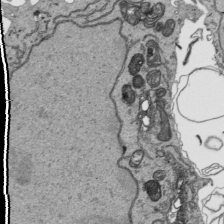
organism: Human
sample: Mitochondria in HCT116 cells